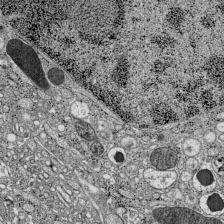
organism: C57BL Mouse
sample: Pancreatic islet